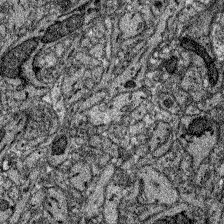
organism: Zebrafish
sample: Larval olfactory bulb